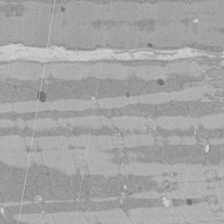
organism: Rat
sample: Left ventricle